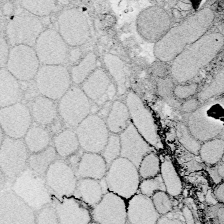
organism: Zebrafish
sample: Whole-Brain